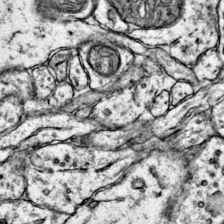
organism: Mouse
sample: Primary visual cortex